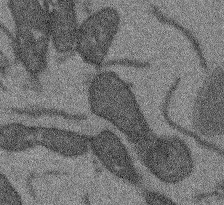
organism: Arabidopsis thaliana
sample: Root tip